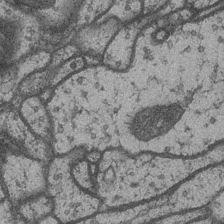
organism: Drosophila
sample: Optic medulla